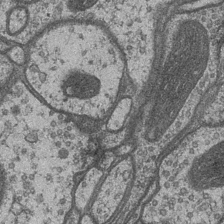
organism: Drosophila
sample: Optic medulla